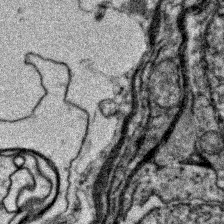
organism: Zebrafish